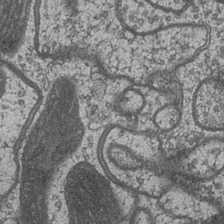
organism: Drosophila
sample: Optic medulla